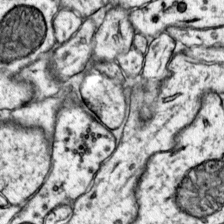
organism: Mouse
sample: Primary visual cortex